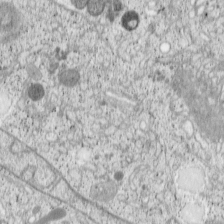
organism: African green monkey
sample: COS-7 cells